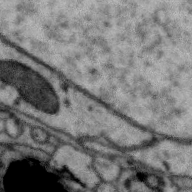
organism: Zebra finch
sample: Brain